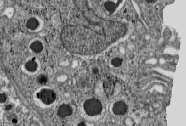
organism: C57BL Mouse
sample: Pancreatic islet